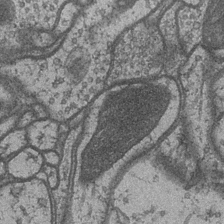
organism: Drosophila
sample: Optic medulla